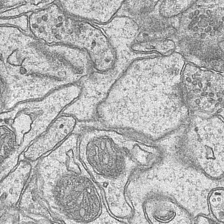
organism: Mouse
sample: CA1 Hippocampus